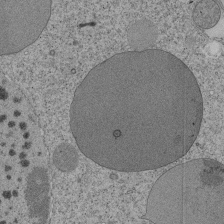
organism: Tetrahymena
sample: Cilia in tetrahymena